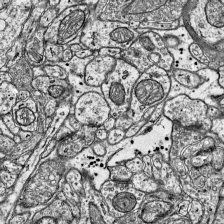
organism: Mouse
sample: Visual Cortex